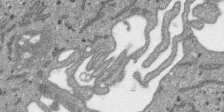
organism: Human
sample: Lung epithelial cells infected with SARS-CoV-2